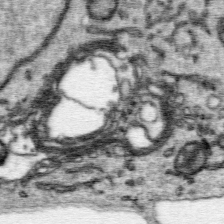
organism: Human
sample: HeLa cells